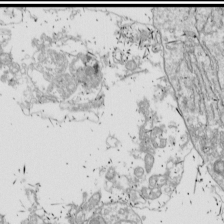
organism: Drosophila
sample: Cell division; meiosis; drosophila spermatocytes